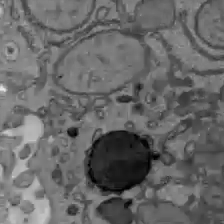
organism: C57BL Mouse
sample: Liver